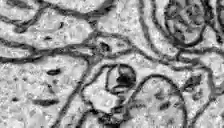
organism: Zebrafish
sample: Brain